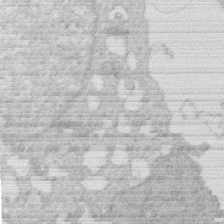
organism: Human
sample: Macrophage cells